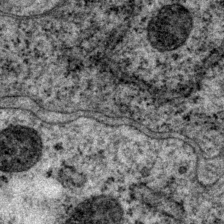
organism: P. pacificus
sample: Pharynx